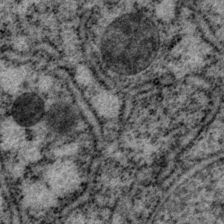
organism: P. pacificus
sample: Pharynx